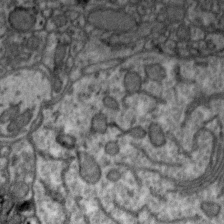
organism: Zebra finch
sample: Brain